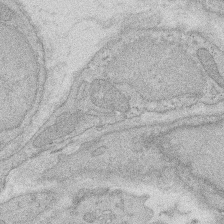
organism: Rat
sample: Salivary granule